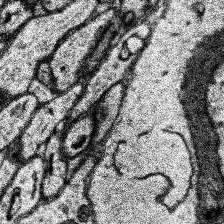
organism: Human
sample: Temporal Lobe